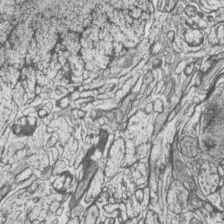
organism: Zebrafish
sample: synaptic ribbons in rod cells and cone cells